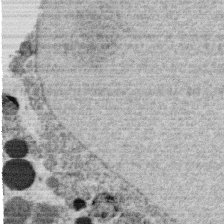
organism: C. elegans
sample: C. elegans oocyte; sperm cells